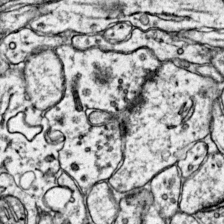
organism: Mouse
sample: Primary visual cortex